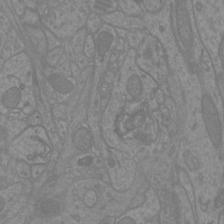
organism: Mouse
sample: Cortical neurons